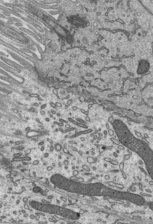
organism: Mouse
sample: Mouse epididymis efferent ductule cilia